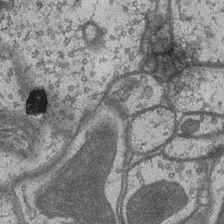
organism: Drosophila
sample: Optic medulla